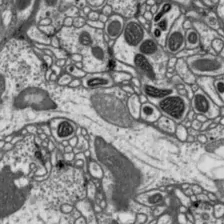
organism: Drosophila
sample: Protocerebral bridge